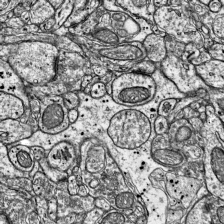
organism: Mouse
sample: Visual Cortex